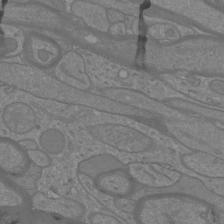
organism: Mouse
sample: Cortical neurons